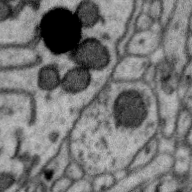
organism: Zebra finch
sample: Brain